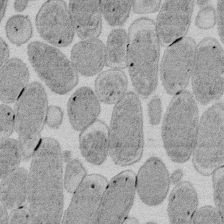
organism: E. coli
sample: Bacterial nucleoid